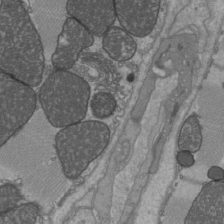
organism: C57BL Mouse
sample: Heart